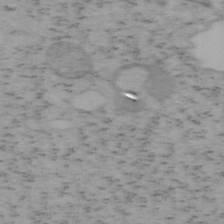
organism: Mouse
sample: OT-I killer T cells with ID8 ovarian cancer cells